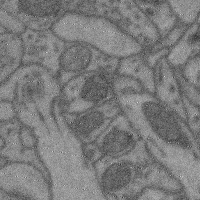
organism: Mouse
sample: Cerebral cortex